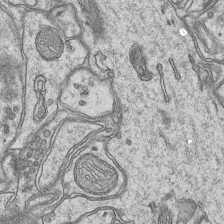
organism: Mouse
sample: CA1 Hippocampus